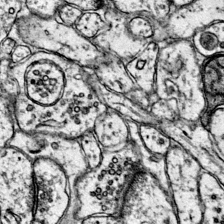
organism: Mouse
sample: Primary visual cortex